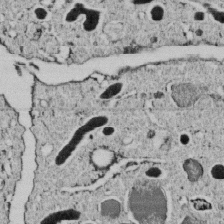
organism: C. elegans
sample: C. elegans embryo early stage